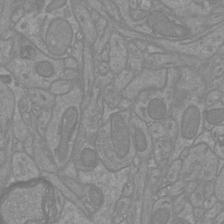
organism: Mouse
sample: Cortical neurons